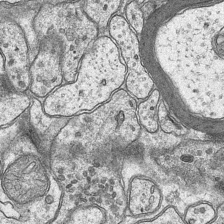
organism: Mouse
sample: CA1 Hippocampus